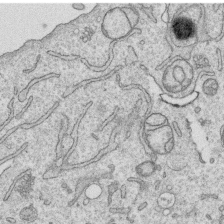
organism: Human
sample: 1205lu cells